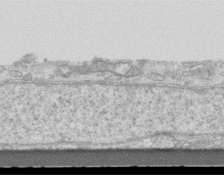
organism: Mouse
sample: Centriole in ependymal cells